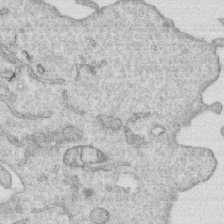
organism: Human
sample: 1205lu cells